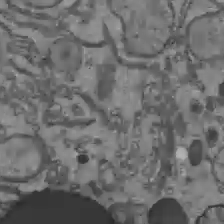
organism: C57BL Mouse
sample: Liver